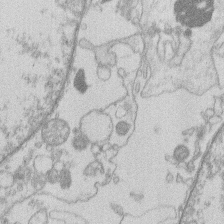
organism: Human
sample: Macrophage cells